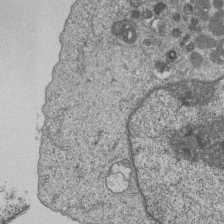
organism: Human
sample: MDA-MB-231 cells